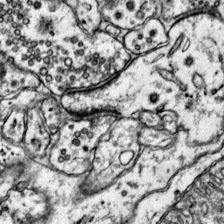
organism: Mouse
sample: Primary visual cortex